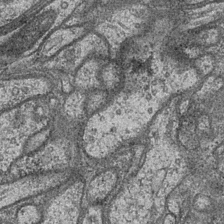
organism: Drosophila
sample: Optic medulla